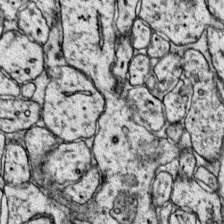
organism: Mouse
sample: Primary visual cortex